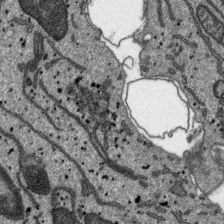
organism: Human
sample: Lung epithelial cells, uninfected (mock) control